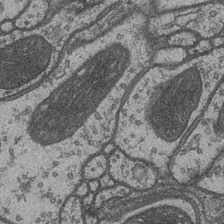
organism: Drosophila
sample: Optic medulla